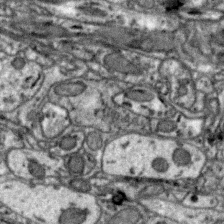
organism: Zebra finch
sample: Brain